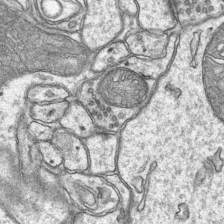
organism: Mouse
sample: CA1 Hippocampus